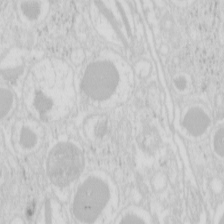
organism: Mouse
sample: Pancreas